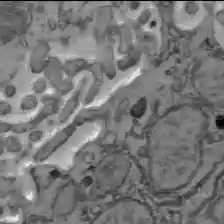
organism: C57BL Mouse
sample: Liver